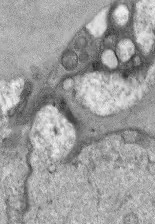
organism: Mouse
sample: Corneal nerves